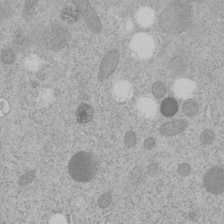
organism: C. elegans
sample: C. elegans embryo early stage